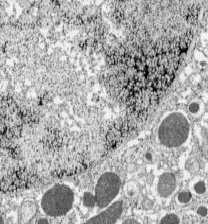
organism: C57BL Mouse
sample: Pancreatic islet